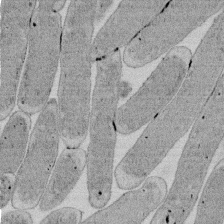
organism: E. coli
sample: Bacterial nucleoid